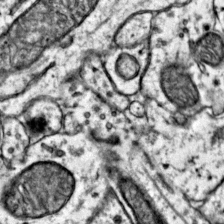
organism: Mouse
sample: Primary visual cortex